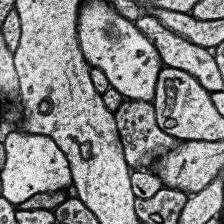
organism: Human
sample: Temporal Lobe